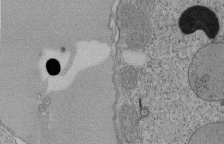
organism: Tetrahymena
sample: Cilia in tetrahymena